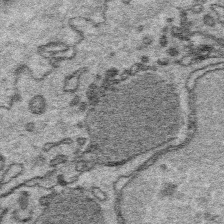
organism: Platynereis dumerilii